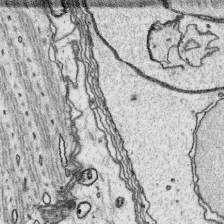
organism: Platynereis dumerilii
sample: Parapodia